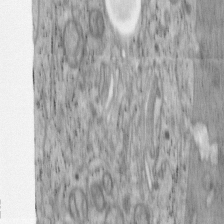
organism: Human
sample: HeLa cells